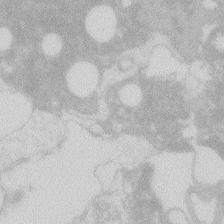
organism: Zebrafish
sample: Macrophage